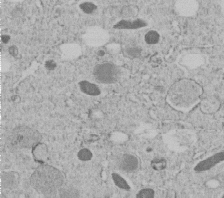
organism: C. elegans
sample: C. elegans embryo early stage